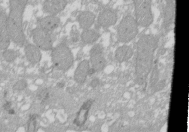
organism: Xenopus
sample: Cilia; centrioles in frog embryo cells